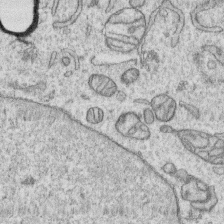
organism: Human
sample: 1205lu cells